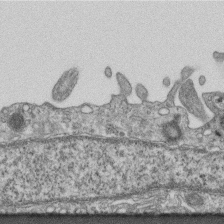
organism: Mouse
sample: Centriole in ependymal cells